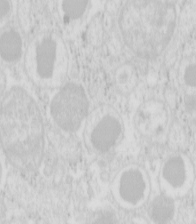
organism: Mouse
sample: Pancreas